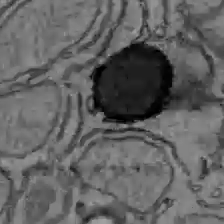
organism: C57BL Mouse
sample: Liver